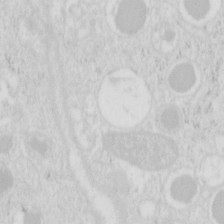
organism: Mouse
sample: Pancreas